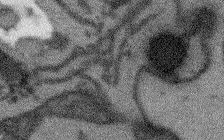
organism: Arabidopsis thaliana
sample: Root tip